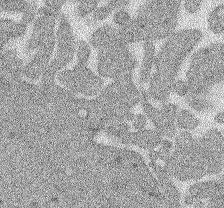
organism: Human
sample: HeLa cells